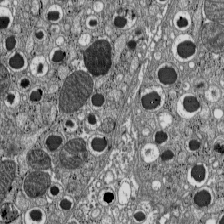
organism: C57BL Mouse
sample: Pancreatic islet